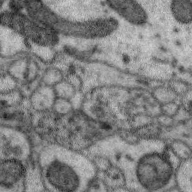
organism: Zebra finch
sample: Brain